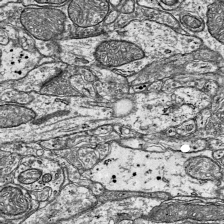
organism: Mouse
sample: Visual Cortex